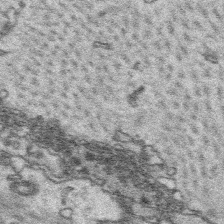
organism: Platynereis dumerilii